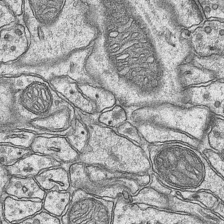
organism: Mouse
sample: CA1 Hippocampus